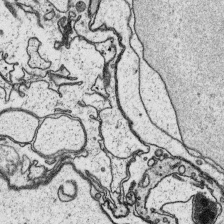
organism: Platynereis dumerilii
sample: Parapodia